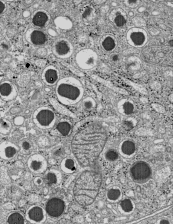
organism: C57BL Mouse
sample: Pancreatic islet